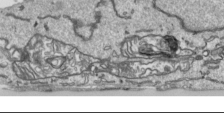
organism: Human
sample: Mitochondria in HCT116 cells